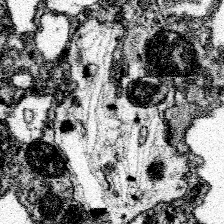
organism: Spongilla lacustris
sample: Neuroid cell